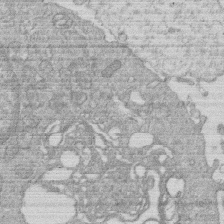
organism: Human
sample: Macrophage cells